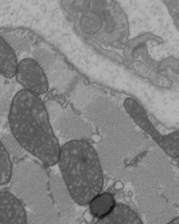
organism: C57BL Mouse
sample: Heart